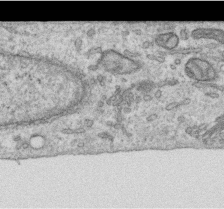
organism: Human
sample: Centriole in RPE cells